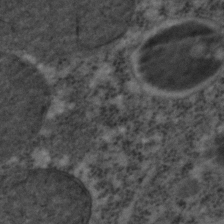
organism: C. elegans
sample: C. elegans embryo